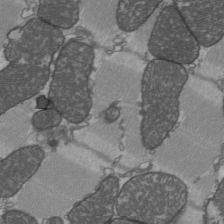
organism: C57BL Mouse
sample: Heart